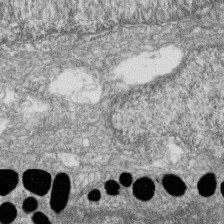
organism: Zebrafish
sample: Cilia; retinal pigment epithelium